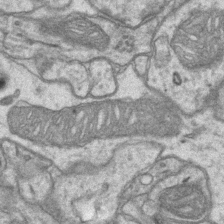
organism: Mouse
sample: CA1 Hippocampus